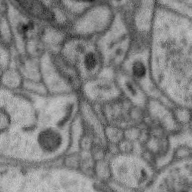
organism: Zebra finch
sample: Brain